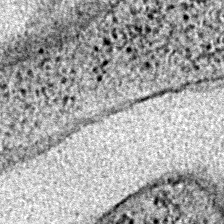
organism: E. coli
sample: E. Coli Bacteria